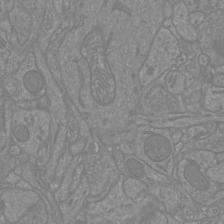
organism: Mouse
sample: Cortical neurons